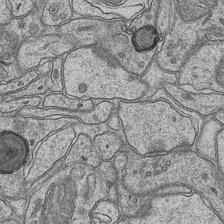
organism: Mouse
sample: CA1 Hippocampus